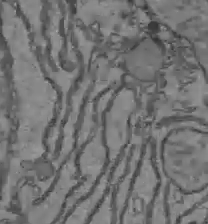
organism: C57BL Mouse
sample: Liver